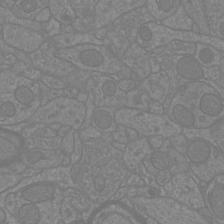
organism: Mouse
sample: Cortical neurons